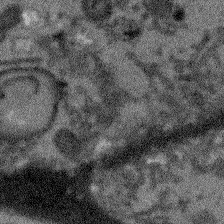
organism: Arabidopsis thaliana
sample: Root tip